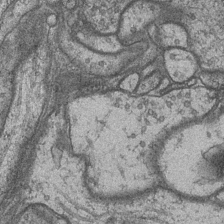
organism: Drosophila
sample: Optic medulla